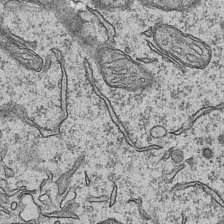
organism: Mouse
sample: CA1 Hippocampus